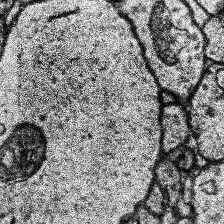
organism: Human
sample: Temporal Lobe